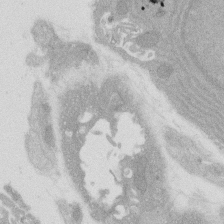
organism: Rat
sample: Salivary granule